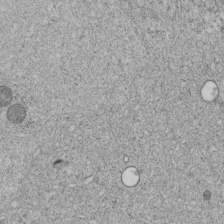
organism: C. elegans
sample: C. elegans embryo early stage